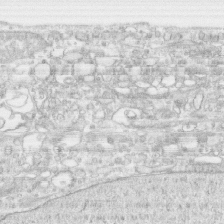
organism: Human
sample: CRL-1474